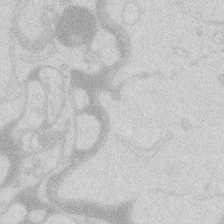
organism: Zebrafish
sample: Macrophage